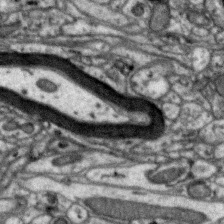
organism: Zebra finch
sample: Brain